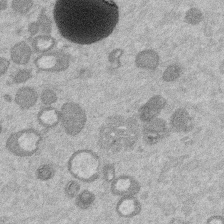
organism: Mouse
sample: Dividing mouse embryo 1 cell stage